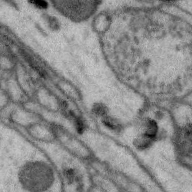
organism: Zebra finch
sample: Brain